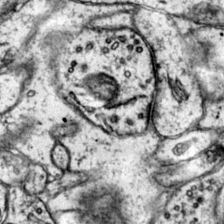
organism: Mouse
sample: Primary visual cortex